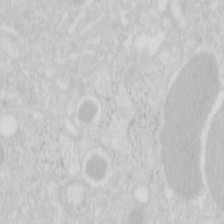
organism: Mouse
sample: Pancreas